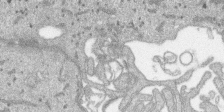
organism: Human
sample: Lung epithelial cells infected with SARS-CoV-2